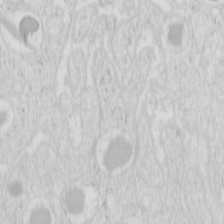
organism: Mouse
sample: Pancreas